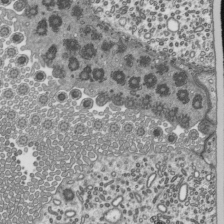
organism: Mouse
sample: Mouse epididymis efferent ductule cilia